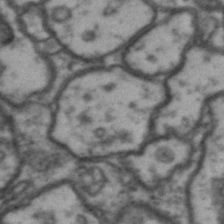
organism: Drosophila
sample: Brain